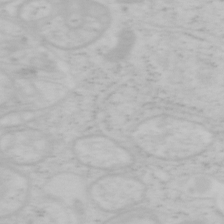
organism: Mouse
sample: OT-I killer T cells with ID8 ovarian cancer cells